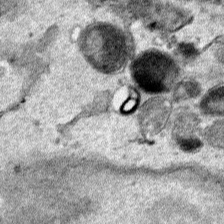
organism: Human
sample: Mitochondria in HCT116 cells